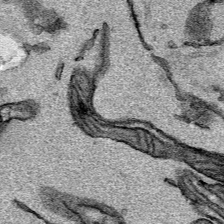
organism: Mouse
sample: Cancer cell death in ED-1 cells